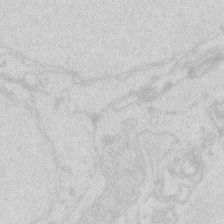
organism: Zebrafish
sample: Macrophage